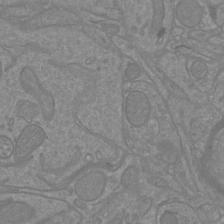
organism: Mouse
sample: Cortical neurons